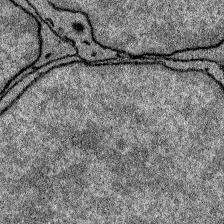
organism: Zebrafish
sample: Larval olfactory bulb